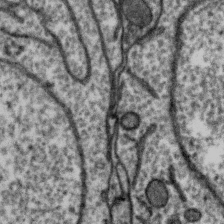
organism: Zebra finch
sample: Brain